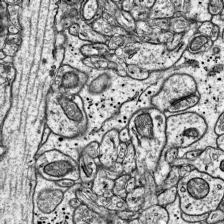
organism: Mouse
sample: Visual Cortex